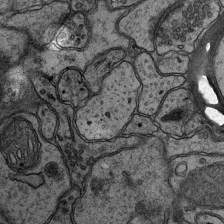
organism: Mouse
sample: CA1 Hippocampus